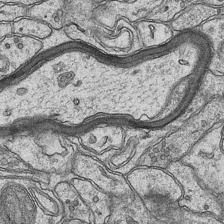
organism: Mouse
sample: CA1 Hippocampus